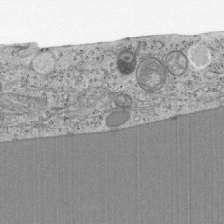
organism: Human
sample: HeLa cells